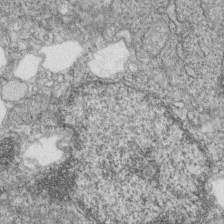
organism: Zebrafish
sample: Cilia; retinal pigment epithelium